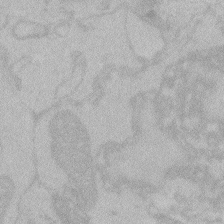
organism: Zebrafish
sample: Macrophage infected with Toxoplasma gondii